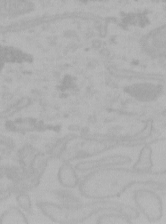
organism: Mouse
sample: Choroid plexus